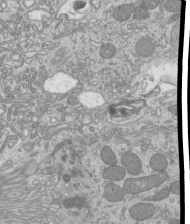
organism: Mouse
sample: Cilia; mouse epididymis